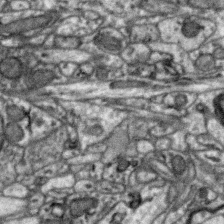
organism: Zebra finch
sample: Brain